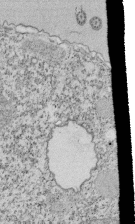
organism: Tetrahymena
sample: Cilia in tetrahymena